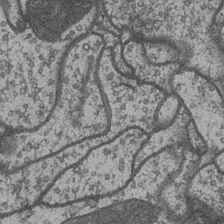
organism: Drosophila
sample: Optic medulla